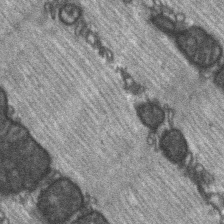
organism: C57BL Mouse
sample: Soleus